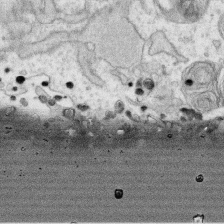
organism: Human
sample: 1205lu cells